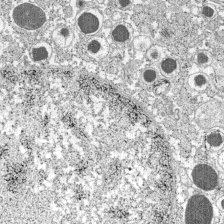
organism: C57BL Mouse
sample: Pancreatic islet